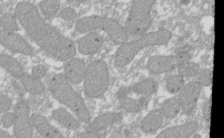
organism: Xenopus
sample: Cilia; centrioles in frog embryo cells